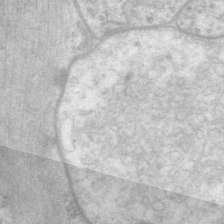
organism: P. pacificus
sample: Pharynx